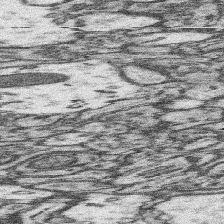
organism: Mouse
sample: Somatosensory cortex neuropil